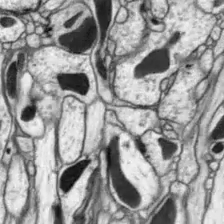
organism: Drosophila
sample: Optic lobe